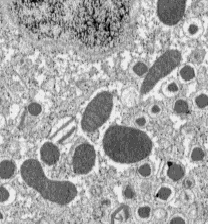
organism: C57BL Mouse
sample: Pancreatic islet